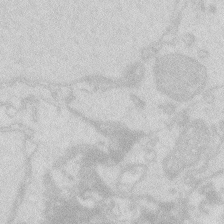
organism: Zebrafish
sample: Macrophage